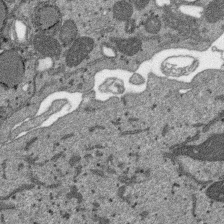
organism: Human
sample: Lung epithelial cells infected with SARS-CoV-2